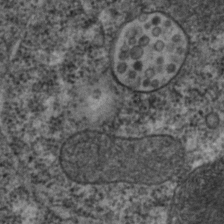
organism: C. elegans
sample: C. elegans embryo